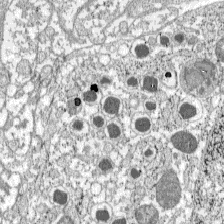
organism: C57BL Mouse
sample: Pancreatic islet